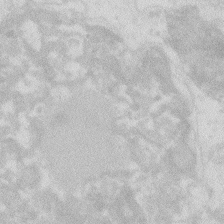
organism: Zebrafish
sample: Macrophage